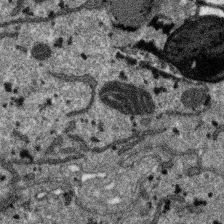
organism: Human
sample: Lung epithelial cells infected with SARS-CoV-2